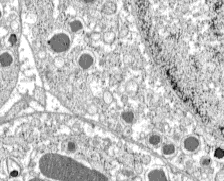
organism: C57BL Mouse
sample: Pancreatic islet